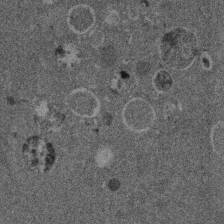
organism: Mouse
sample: Dividing mouse embryo 1 cell stage